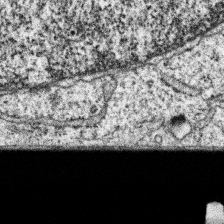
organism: Human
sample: HeLa cells